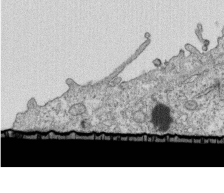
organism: Human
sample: HeLa cell HIV synapse